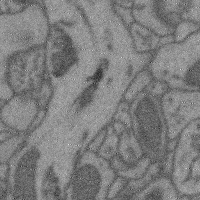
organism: Mouse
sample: Cerebral cortex